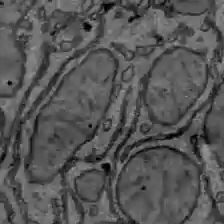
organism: C57BL Mouse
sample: Liver